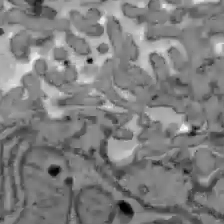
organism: C57BL Mouse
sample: Liver